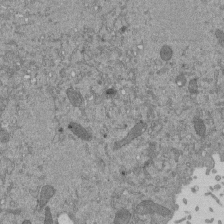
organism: Mouse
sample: ED-1 cell nuclei; centrioles